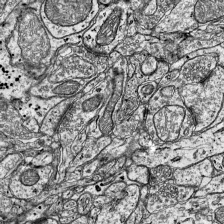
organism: Mouse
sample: Visual Cortex